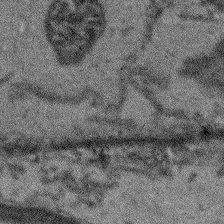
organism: Arabidopsis thaliana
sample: Root tip